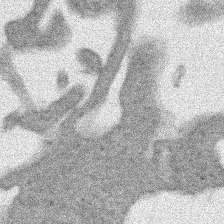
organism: Human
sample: Mitochondria in HCT116 cells